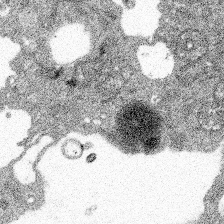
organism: Spongilla lacustris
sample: Multiple